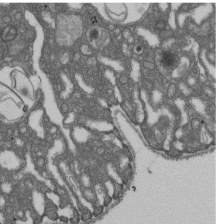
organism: Drosophila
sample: Nephrocyte